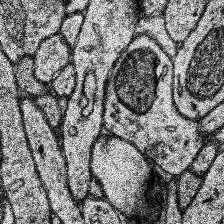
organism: Human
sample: Temporal Lobe